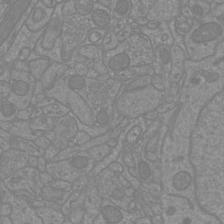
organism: Mouse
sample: Cortical neurons